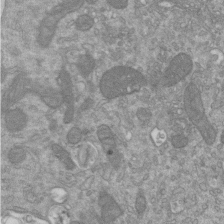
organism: Mouse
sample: ED-1 cell nuclei; centrioles